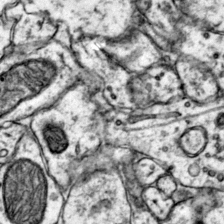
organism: Mouse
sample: Primary visual cortex